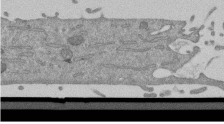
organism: Mouse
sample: ED-1 cell nuclei; centrioles